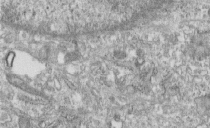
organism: Human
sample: Centriole in fibroblast cells